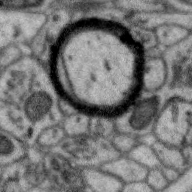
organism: Zebra finch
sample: Brain